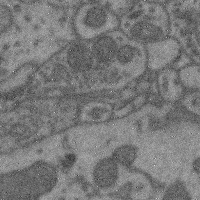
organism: Mouse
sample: Cerebral cortex